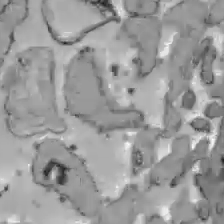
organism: C57BL Mouse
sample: Liver